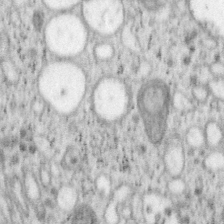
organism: Mouse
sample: OT-I killer T cells with ID8 ovarian cancer cells